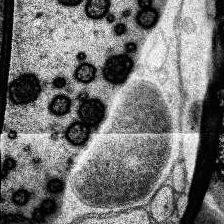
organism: Human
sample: Temporal Lobe